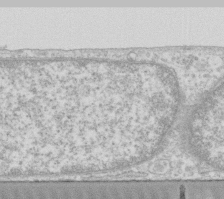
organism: Human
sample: Fibroblast cells